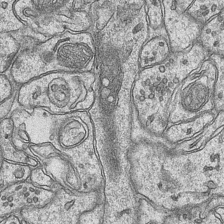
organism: Mouse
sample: CA1 Hippocampus